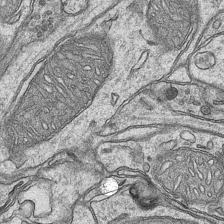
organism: Mouse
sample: CA1 Hippocampus